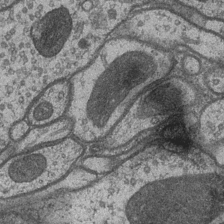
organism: Drosophila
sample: Optic medulla